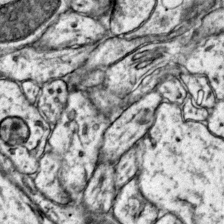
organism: Mouse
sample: Primary visual cortex